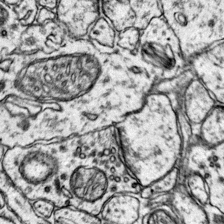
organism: Mouse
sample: Primary visual cortex